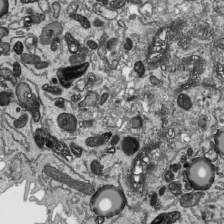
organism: Human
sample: Mitochondria in HCT116 cells